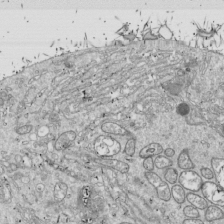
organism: Drosophila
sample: Cell division; meiosis; drosophila spermatocytes